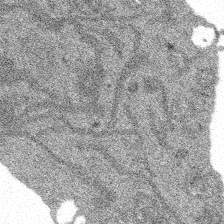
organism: Spongilla lacustris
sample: Multiple